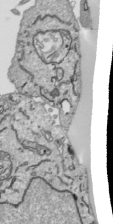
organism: Human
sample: Mitochondria in HCT116 cells